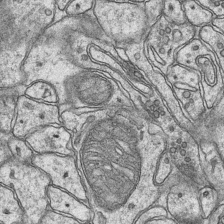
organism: Mouse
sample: CA1 Hippocampus